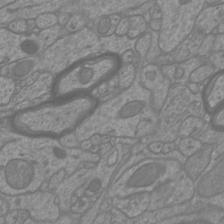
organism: Mouse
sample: Cortical neurons